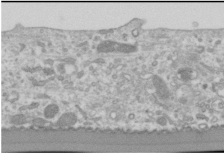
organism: Human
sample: Cilia; basal body in RPE cells